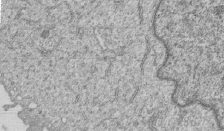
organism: Human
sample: MDA-MB-231 cells